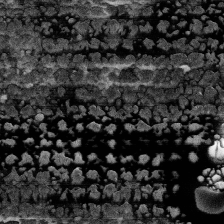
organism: Human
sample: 1205lu cells